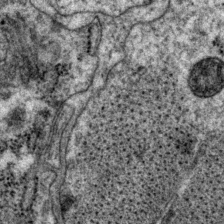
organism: P. pacificus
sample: Pharynx